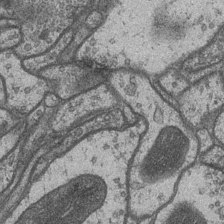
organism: Drosophila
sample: Optic medulla